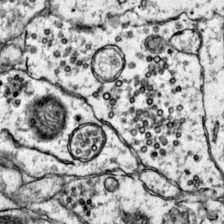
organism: Mouse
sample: Primary visual cortex